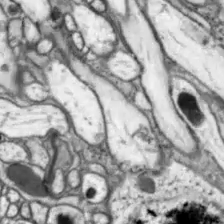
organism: Drosophila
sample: Optic lobe